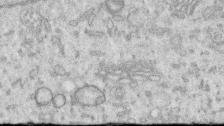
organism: Human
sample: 1205lu cells